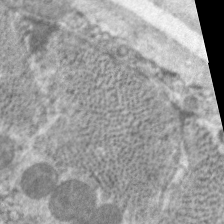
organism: C. elegans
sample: Pharynx